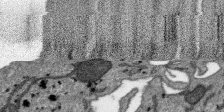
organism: Human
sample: Lung epithelial cells, uninfected (mock) control